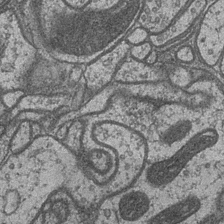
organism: Drosophila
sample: Optic medulla